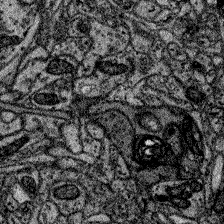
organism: Zebrafish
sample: Larval olfactory bulb